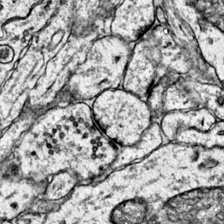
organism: Mouse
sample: Primary visual cortex